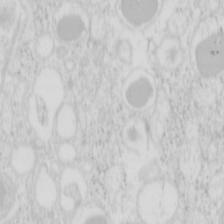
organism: Mouse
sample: Pancreas